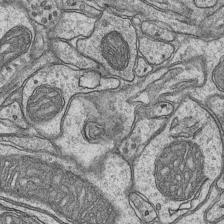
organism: Mouse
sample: CA1 Hippocampus